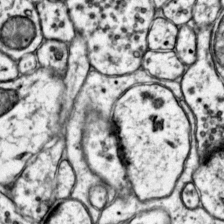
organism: Mouse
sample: Primary visual cortex